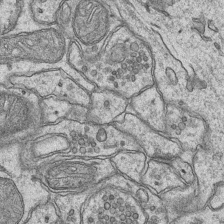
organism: Mouse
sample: CA1 Hippocampus